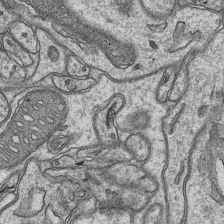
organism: Mouse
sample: CA1 Hippocampus